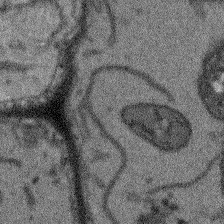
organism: Arabidopsis thaliana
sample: Root tip